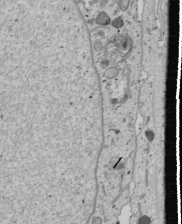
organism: Human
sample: Mitochondria in U2OS cells